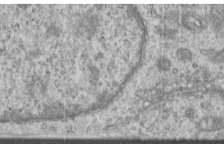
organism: Human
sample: Centriole in RPE cells